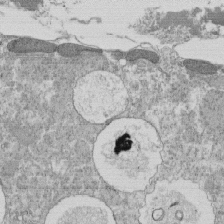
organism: Tetrahymena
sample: Cilia in tetrahymena